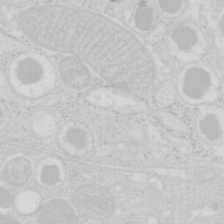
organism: Mouse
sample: Pancreas